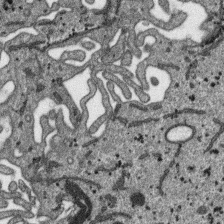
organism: Human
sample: Lung epithelial cells infected with SARS-CoV-2